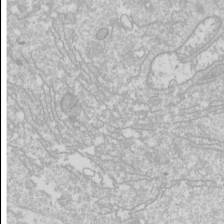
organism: Drosophila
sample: Cell division; meiosis; drosophila spermatocytes